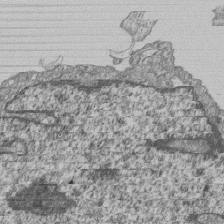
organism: Human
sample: MDA-MB-231 cells